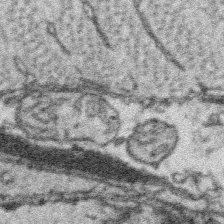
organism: Platynereis dumerilii